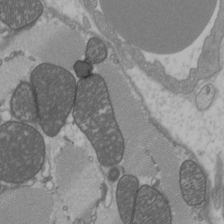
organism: C57BL Mouse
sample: Heart